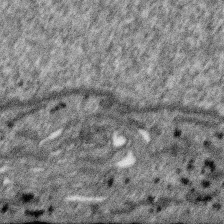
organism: Human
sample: Lung epithelial cells infected with SARS-CoV-2